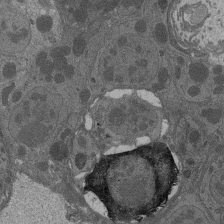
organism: Drosophila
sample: Antenna